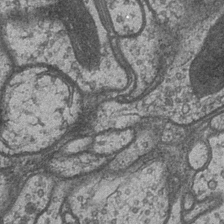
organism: Drosophila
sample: Optic medulla